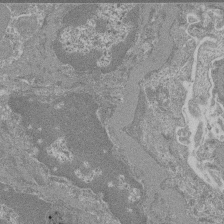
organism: Mouse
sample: Glomerulus